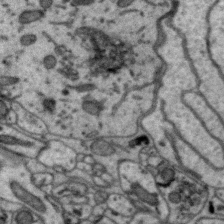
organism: Zebra finch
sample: Brain